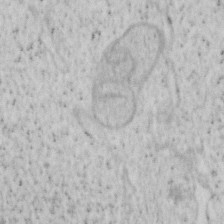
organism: Human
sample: HeLa cells